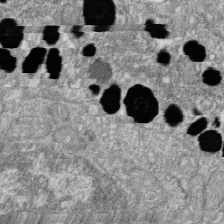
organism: Zebrafish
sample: Cilia; retinal pigment epithelium